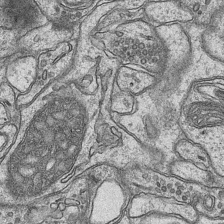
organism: Mouse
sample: CA1 Hippocampus